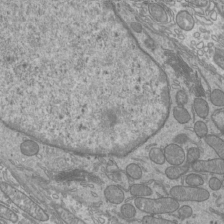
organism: Mouse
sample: Cilia; mouse epididymis